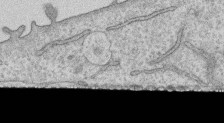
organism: Human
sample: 1205lu cells